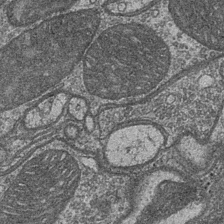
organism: Drosophila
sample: Optic medulla